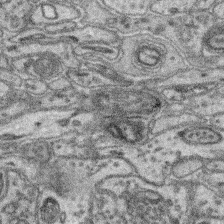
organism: Mouse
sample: Retina